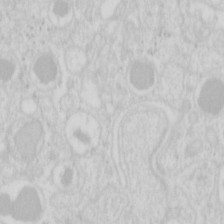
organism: Mouse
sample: Pancreas